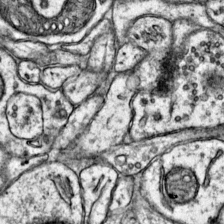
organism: Mouse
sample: Primary visual cortex